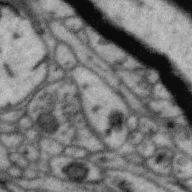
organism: Zebra finch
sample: Brain